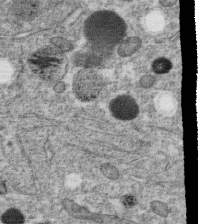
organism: C. elegans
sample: C. elegans oocyte; sperm cells